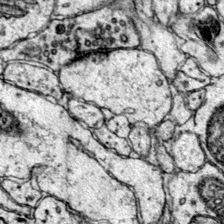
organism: Mouse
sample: Primary visual cortex